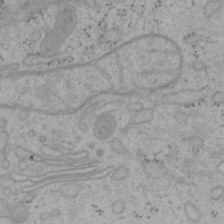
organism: Human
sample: HeLa cells